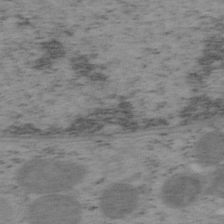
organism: Mouse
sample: OT-I killer T cells with ID8 ovarian cancer cells